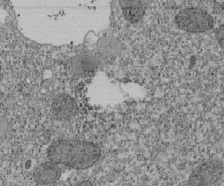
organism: Tetrahymena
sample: Cilia in tetrahymena